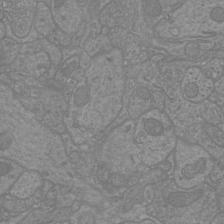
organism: Mouse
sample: Cortical neurons